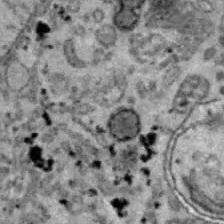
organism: Mouse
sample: Liver from an obese (ob/ob) mouse